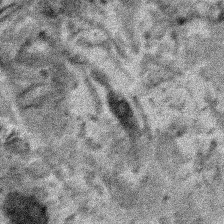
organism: Human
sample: Mitochondria in HCT116 cells